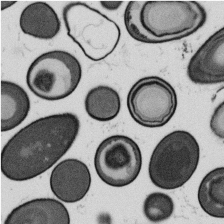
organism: B. subtilis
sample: Bacterial spore